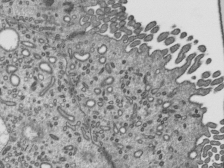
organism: Mouse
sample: Mouse epididymis efferent ductule cilia